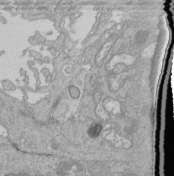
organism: Human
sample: Retinal organoid Rod and Cone cells